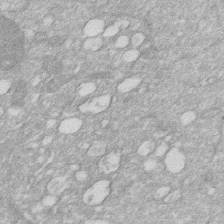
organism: Human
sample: HIV infected U937 cells